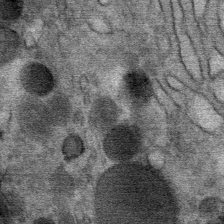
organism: Mouse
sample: Mouse Salivary gland